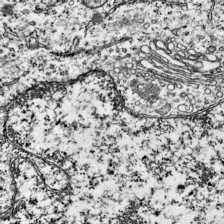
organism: Mouse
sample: Visual Cortex